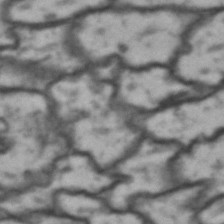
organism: Drosophila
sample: Brain